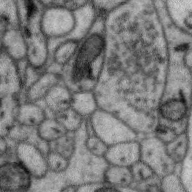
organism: Zebra finch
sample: Brain